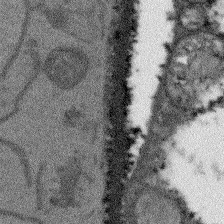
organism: Arabidopsis thaliana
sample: Root tip